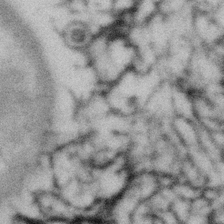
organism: Gemmata obscuriglobus